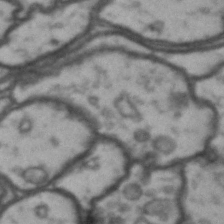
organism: Drosophila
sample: Brain